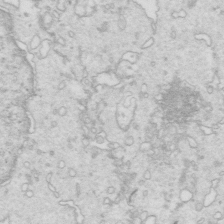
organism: Mouse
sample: Multiciliated cells